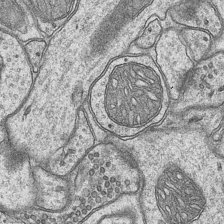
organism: Mouse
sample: CA1 Hippocampus